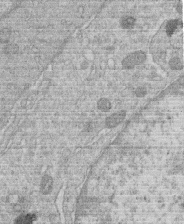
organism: Human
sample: Macrophage cells